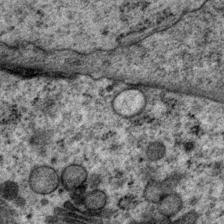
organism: P. pacificus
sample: Pharynx